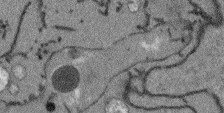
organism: Arabidopsis thaliana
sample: Root tip